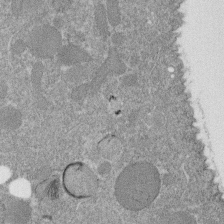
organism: C. elegans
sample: C. elegans embryo early stage